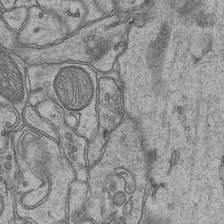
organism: Mouse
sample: CA1 Hippocampus